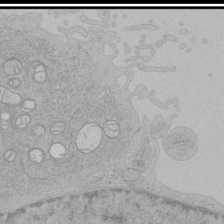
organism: Human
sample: Mitochondria in HCT116 cells